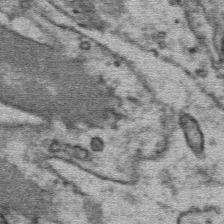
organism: Mouse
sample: Mouse Salivary gland